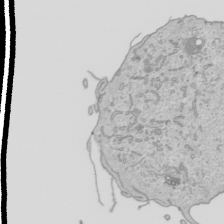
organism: Human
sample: Mitochondria in HCT116 cells